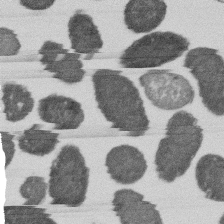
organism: E. coli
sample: Bacterial nucleoid